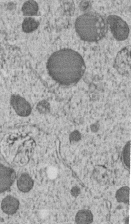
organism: C. elegans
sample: C. elegans embryo early stage